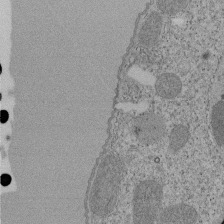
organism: Tetrahymena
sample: Cilia in tetrahymena